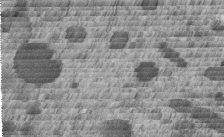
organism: C. elegans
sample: C. elegans embryo early stage